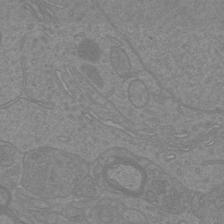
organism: Mouse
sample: Cortical neurons